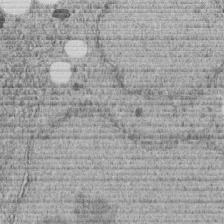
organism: C. elegans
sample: C. elegans embryo early stage